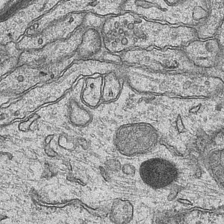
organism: Mouse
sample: CA1 Hippocampus